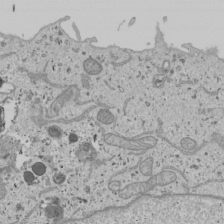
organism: Human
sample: Mitochondria in U2OS cells